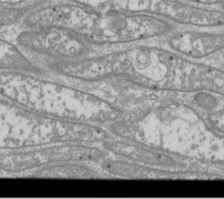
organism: Drosophila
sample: Cell division; meiosis; drosophila spermatocytes